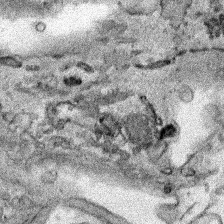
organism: Human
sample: Mitochondria in HCT116 cells